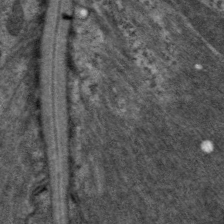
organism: C. elegans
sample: Pharynx